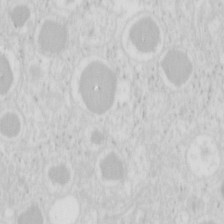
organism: Mouse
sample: Pancreas